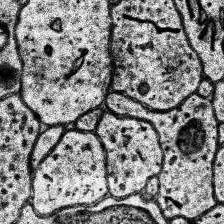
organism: Human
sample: Temporal Lobe